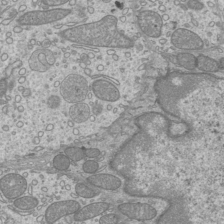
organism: Mouse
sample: Cilia; mouse epididymis